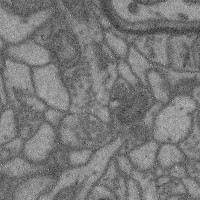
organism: Mouse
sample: Cerebral cortex